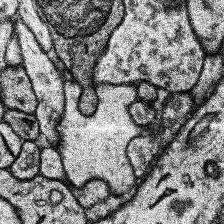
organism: Human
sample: Temporal Lobe